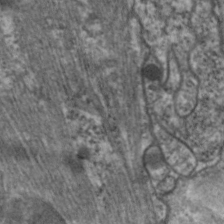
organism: C. elegans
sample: Pharynx